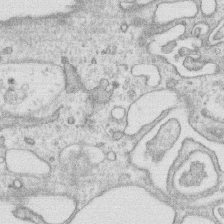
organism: Human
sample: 1205lu cells